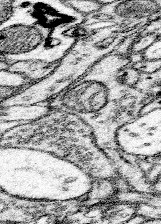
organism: Mouse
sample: Somatosensory cortex neuropil